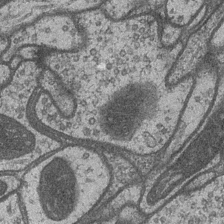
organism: Drosophila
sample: Optic medulla